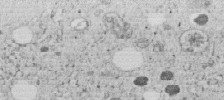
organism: C. elegans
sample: C. elegans embryo early stage